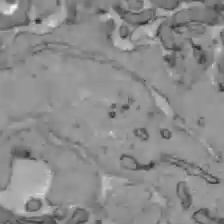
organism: C57BL Mouse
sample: Liver